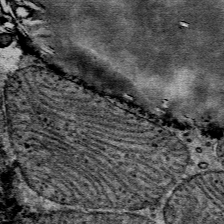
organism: Mouse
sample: Mouse Salivary gland